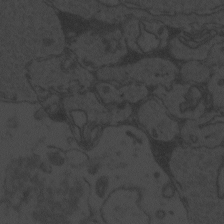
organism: Zebrafish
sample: Macrophage infected with Toxoplasma gondii